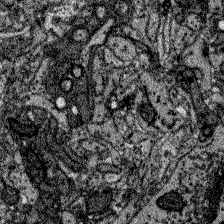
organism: Zebrafish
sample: Larval olfactory bulb